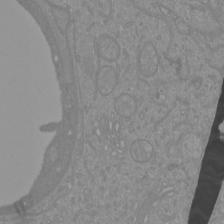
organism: Mouse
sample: Cortical neurons